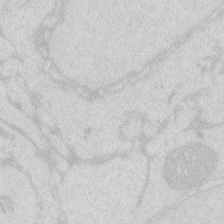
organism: Zebrafish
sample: Macrophage